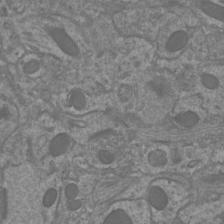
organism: Mouse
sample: Cortical neurons